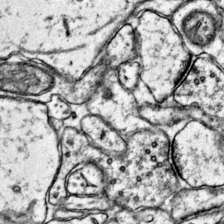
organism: Mouse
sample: Primary visual cortex